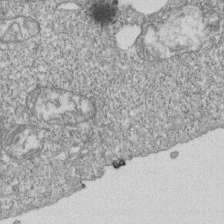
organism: Human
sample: HeLa cell HIV synapse